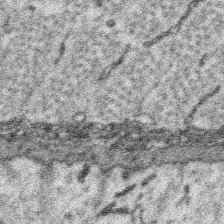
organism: Platynereis dumerilii